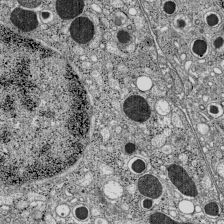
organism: C57BL Mouse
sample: Pancreatic islet